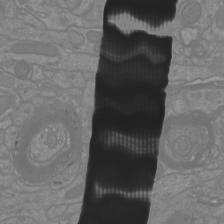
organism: Mouse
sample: Cortical neurons